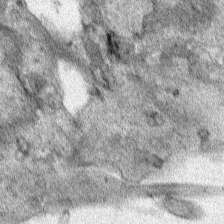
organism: Human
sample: Mitochondria in HCT116 cells